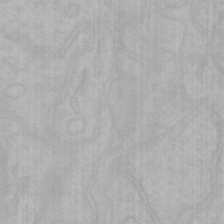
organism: Mouse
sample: Choroid plexus